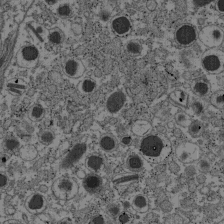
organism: C57BL Mouse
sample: Pancreatic islet